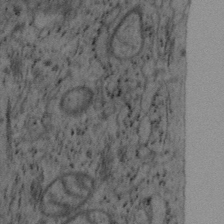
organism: Human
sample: HeLa cells